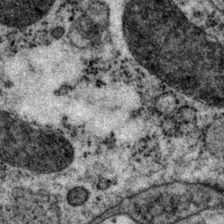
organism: P. pacificus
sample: Pharynx